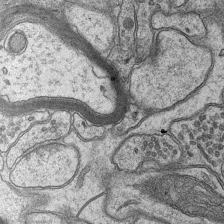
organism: Mouse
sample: CA1 Hippocampus